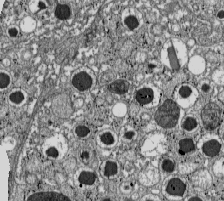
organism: C57BL Mouse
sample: Pancreatic islet